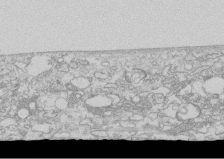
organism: Human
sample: CRL-1474